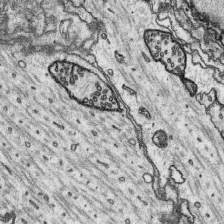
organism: Platynereis dumerilii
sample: Parapodia